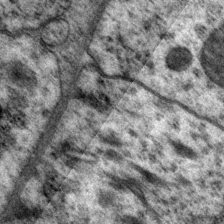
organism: P. pacificus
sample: Pharynx